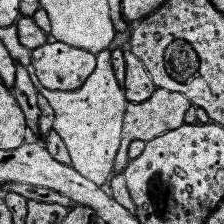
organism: Human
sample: Temporal Lobe